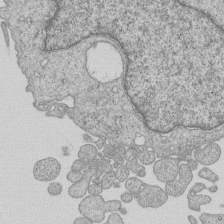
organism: Human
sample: MDA-MB-231 cells